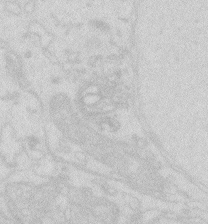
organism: Zebrafish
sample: Macrophage